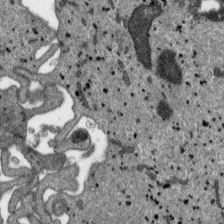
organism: Human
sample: Lung epithelial cells, uninfected (mock) control